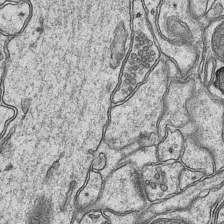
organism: Mouse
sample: CA1 Hippocampus